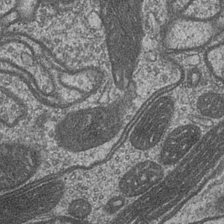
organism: Drosophila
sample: Optic medulla